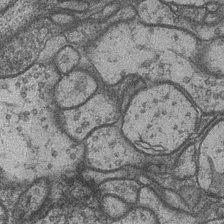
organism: Drosophila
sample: Optic medulla